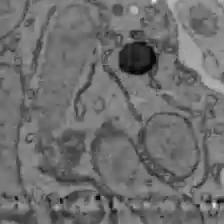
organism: C57BL Mouse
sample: Liver